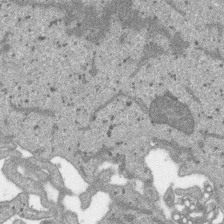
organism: Human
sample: Lung epithelial cells infected with SARS-CoV-2